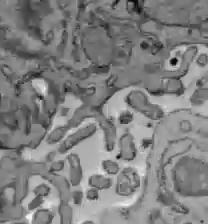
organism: C57BL Mouse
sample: Liver